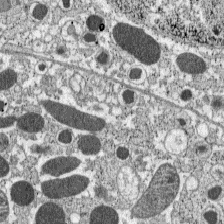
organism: C57BL Mouse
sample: Pancreatic islet